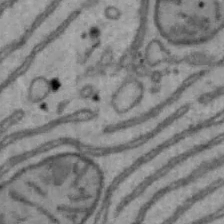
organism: Mouse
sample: Liver